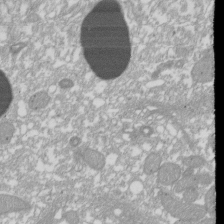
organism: Xenopus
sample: Cilia; centrioles in frog embryo cells